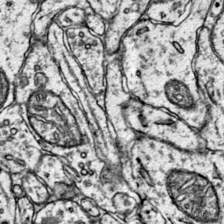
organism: Mouse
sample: Primary visual cortex